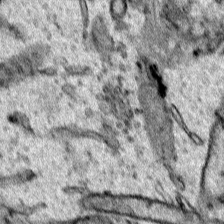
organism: Human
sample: Mitochondria in HCT116 cells